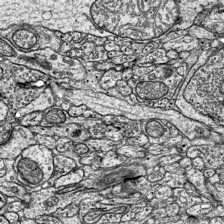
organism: Mouse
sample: Visual Cortex